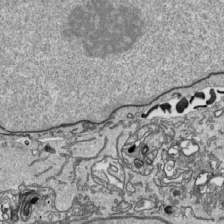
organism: Human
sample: Mitochondria in HCT116 cells